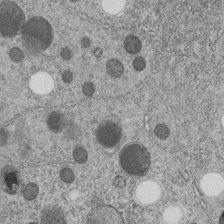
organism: C. elegans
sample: C. elegans embryo early stage